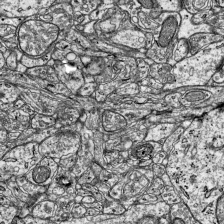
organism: Mouse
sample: Visual Cortex